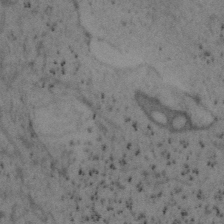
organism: Human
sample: HeLa cells